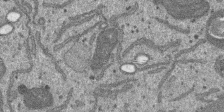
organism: Human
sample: Lung epithelial cells infected with SARS-CoV-2